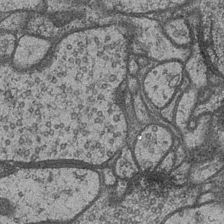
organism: Drosophila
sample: Optic medulla